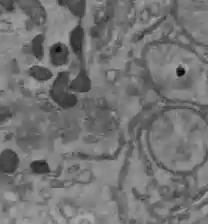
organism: C57BL Mouse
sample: Liver